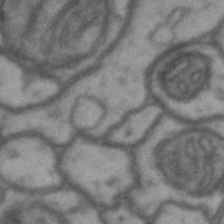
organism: Drosophila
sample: Brain